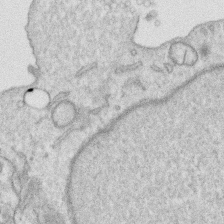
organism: Human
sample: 1205lu cells